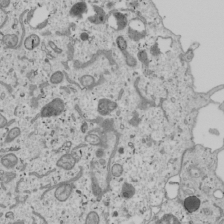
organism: Human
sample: Mitochondria in U2OS cells